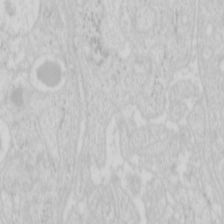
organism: Mouse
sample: Pancreas